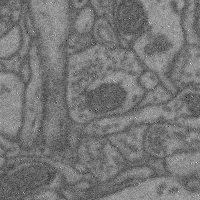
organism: Mouse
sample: Cerebral cortex